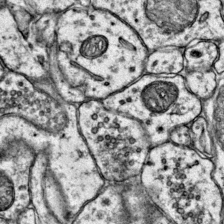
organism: Mouse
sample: Primary visual cortex